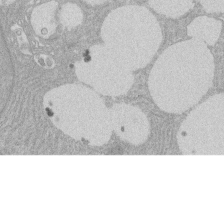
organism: Rat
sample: Salivary granule